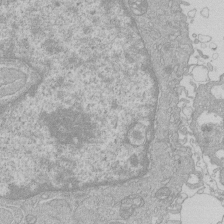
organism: Human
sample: Macrophage cells